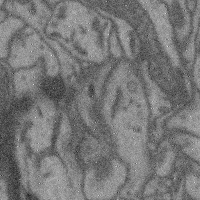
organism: Mouse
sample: Cerebral cortex